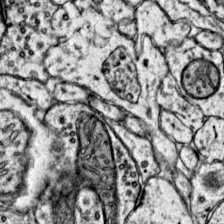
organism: Mouse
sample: Primary visual cortex